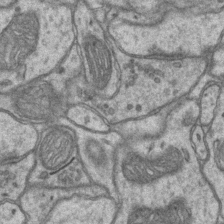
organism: Mouse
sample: CA1 Hippocampus